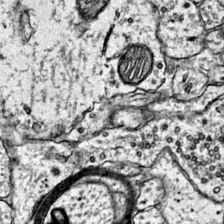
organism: Mouse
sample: Primary visual cortex